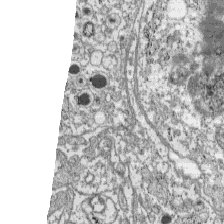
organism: C57BL Mouse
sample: Pancreatic islet